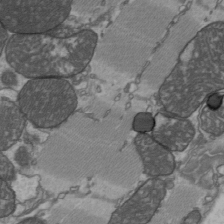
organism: C57BL Mouse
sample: Heart